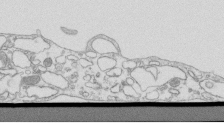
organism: Mouse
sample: Macrophages